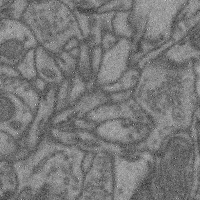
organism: Mouse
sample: Cerebral cortex